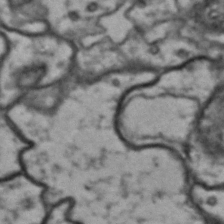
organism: Drosophila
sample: Brain